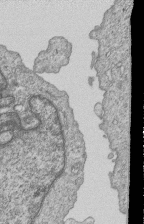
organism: Human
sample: MDA-MB-231 cells